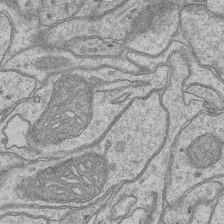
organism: Mouse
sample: CA1 Hippocampus